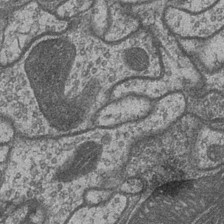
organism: Drosophila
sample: Optic medulla